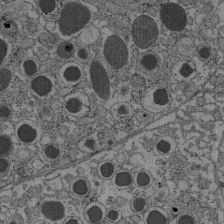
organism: C57BL Mouse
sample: Pancreatic islet